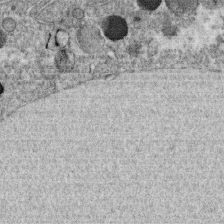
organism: C. elegans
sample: C. elegans oocyte; sperm cells